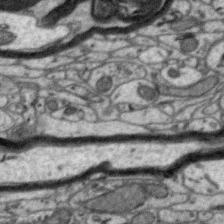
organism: Zebra finch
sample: Brain